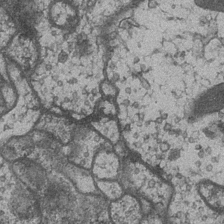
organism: Drosophila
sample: Optic medulla